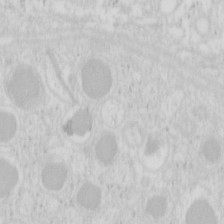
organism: Mouse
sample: Pancreas